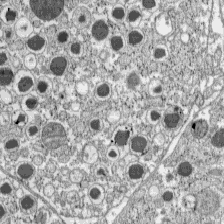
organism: C57BL Mouse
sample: Pancreatic islet